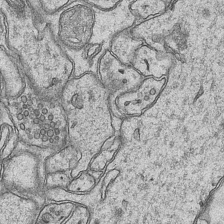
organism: Mouse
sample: CA1 Hippocampus